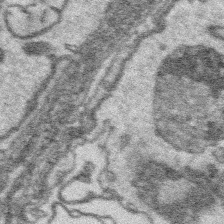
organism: Platynereis dumerilii